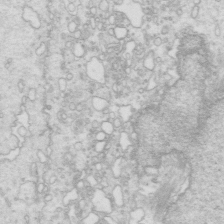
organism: Mouse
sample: Multiciliated cells